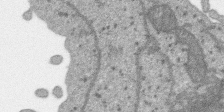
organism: Human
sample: Lung epithelial cells infected with SARS-CoV-2